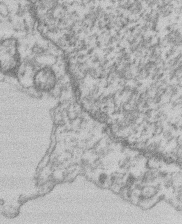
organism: Mouse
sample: T cell stromal cell synapse